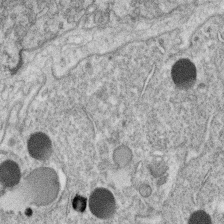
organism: C. elegans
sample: C. elegans oocyte; sperm cells